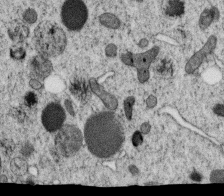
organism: C. elegans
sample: C. elegans oocyte; sperm cells